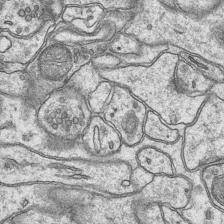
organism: Mouse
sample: CA1 Hippocampus